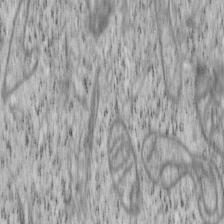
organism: Human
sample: HeLa cells